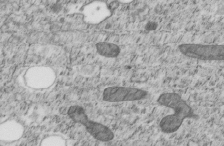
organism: C. elegans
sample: C. elegans embryo early stage